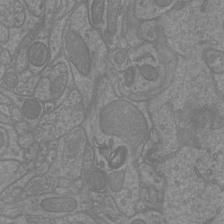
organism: Mouse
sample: Cortical neurons